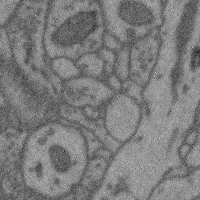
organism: Mouse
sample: Cerebral cortex